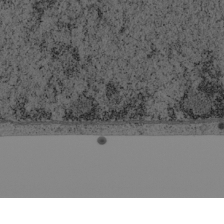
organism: African green monkey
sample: COS-7 cells